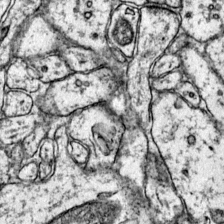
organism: Mouse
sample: Primary visual cortex